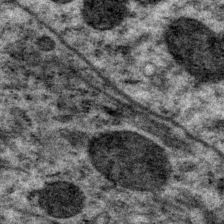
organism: P. pacificus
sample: Pharynx